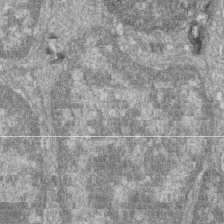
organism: Zebrafish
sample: Cilia; retinal pigment epithelium